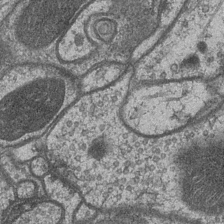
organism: Drosophila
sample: Optic medulla